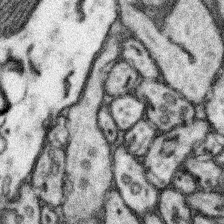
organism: Mouse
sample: Somatosensory cortex neuropil